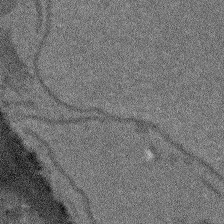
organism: Arabidopsis thaliana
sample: Root tip